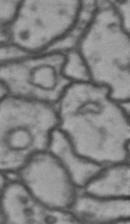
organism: Drosophila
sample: Brain